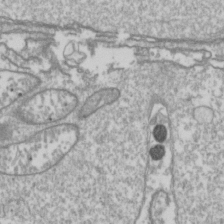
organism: Drosophila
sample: Cell division; meiosis; drosophila spermatocytes